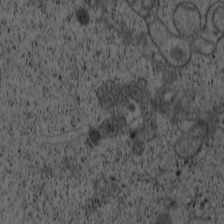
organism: African green monkey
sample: COS-7 cells